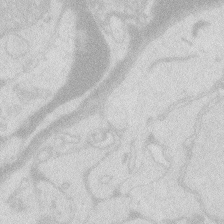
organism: Zebrafish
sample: Macrophage